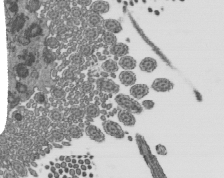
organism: Mouse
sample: Mouse epididymis efferent ductule cilia